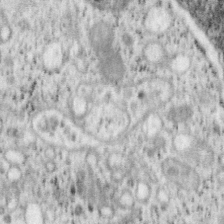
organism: Mouse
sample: OT-I killer T cells with ID8 ovarian cancer cells